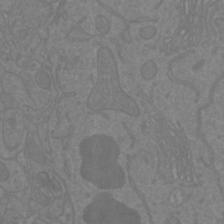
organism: Mouse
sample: Cortical neurons